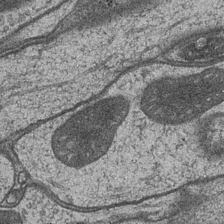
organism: Drosophila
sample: Optic medulla